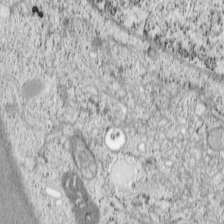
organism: African green monkey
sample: COS-7 cells